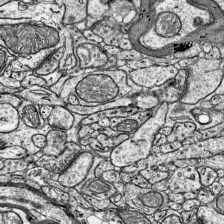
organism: Mouse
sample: Visual Cortex